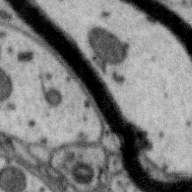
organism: Zebra finch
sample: Brain